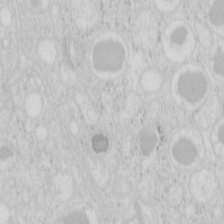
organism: Mouse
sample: Pancreas